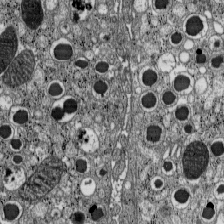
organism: C57BL Mouse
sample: Pancreatic islet